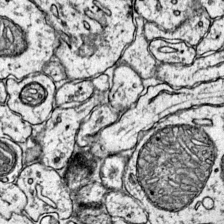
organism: Mouse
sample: Primary visual cortex